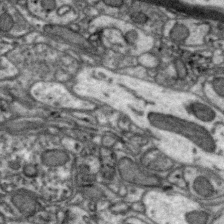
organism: Zebra finch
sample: Brain